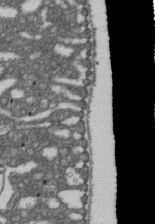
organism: Drosophila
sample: Nephrocyte